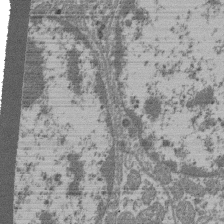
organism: Mouse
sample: Glomerulus